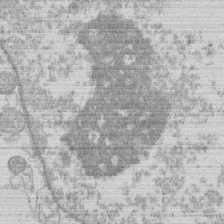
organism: Human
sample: Macrophage cells